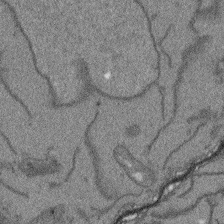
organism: Arabidopsis thaliana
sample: Root tip